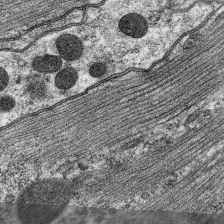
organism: C. elegans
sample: Pharynx